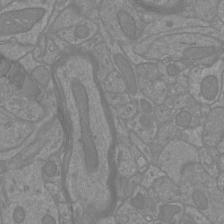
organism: Mouse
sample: Cortical neurons